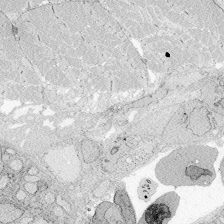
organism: Zebrafish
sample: Whole-Brain